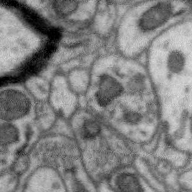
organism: Zebra finch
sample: Brain